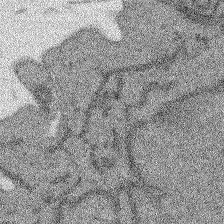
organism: Human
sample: HeLa cells